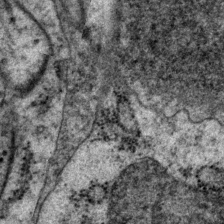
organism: P. pacificus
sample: Pharynx